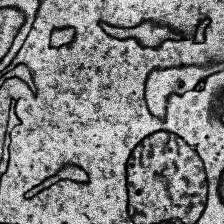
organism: Human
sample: Temporal Lobe